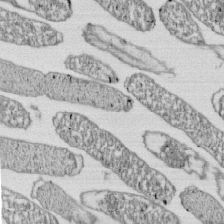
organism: E. coli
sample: Bacterial nucleoid